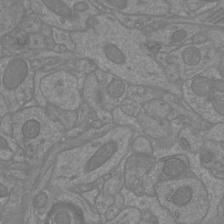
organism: Mouse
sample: Cortical neurons